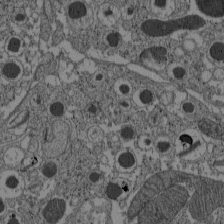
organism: C57BL Mouse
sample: Pancreatic islet